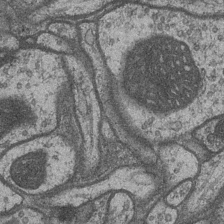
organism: Drosophila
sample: Optic medulla